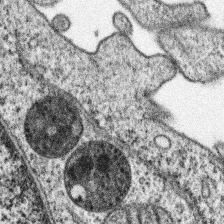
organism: Human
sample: HeLa cells